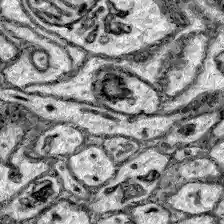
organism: Zebrafish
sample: Brain